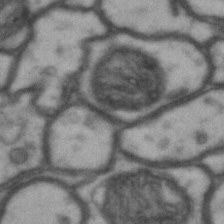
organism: Drosophila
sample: Brain